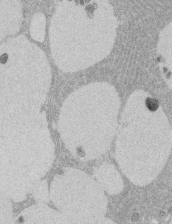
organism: Rat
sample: Salivary granule